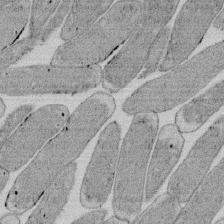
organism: E. coli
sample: Bacterial nucleoid